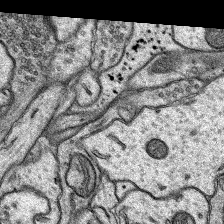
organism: Rat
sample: Hippocampus